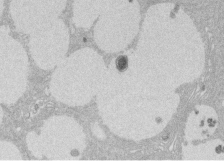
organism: Rat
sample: Salivary granule